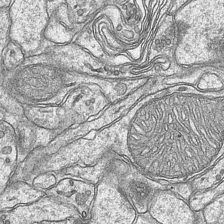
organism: Mouse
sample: CA1 Hippocampus